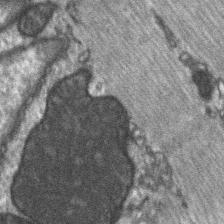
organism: C57BL Mouse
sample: Soleus